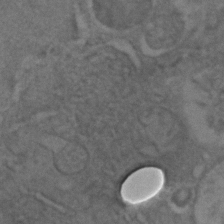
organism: C. elegans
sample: C. elegans embryo